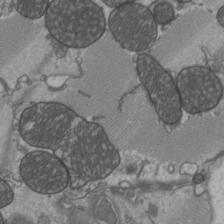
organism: C57BL Mouse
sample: Heart